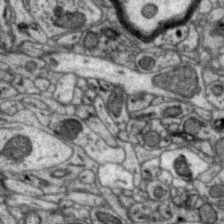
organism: Zebra finch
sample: Brain